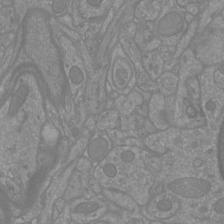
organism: Mouse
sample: Cortical neurons